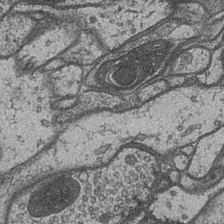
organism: Drosophila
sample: Optic medulla